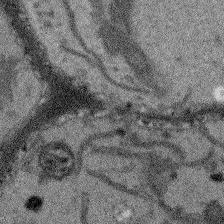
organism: Arabidopsis thaliana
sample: Root tip